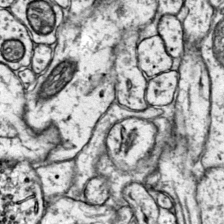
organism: Mouse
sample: Primary visual cortex